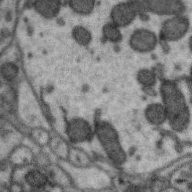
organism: Zebra finch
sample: Brain